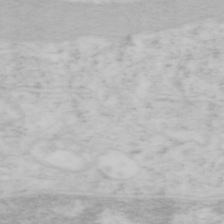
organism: Mouse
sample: OT-I killer T cells with ID8 ovarian cancer cells